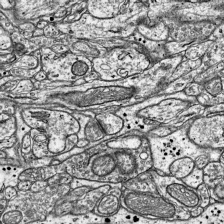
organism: Mouse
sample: Visual Cortex